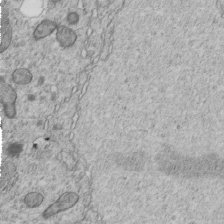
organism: C. elegans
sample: C. elegans embryo early stage